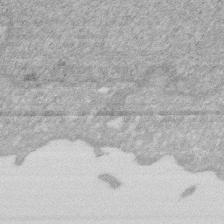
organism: Human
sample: HIV infected U937 cells